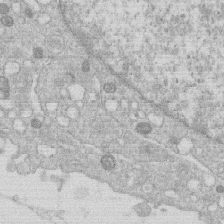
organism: Human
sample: Macrophage cells